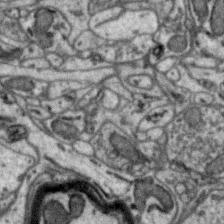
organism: Zebra finch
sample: Brain